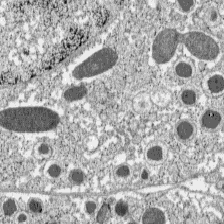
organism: C57BL Mouse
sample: Pancreatic islet